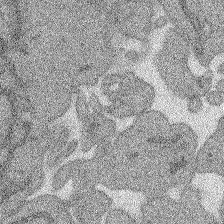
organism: Human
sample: HeLa cells